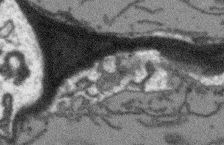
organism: Arabidopsis thaliana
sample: Root tip